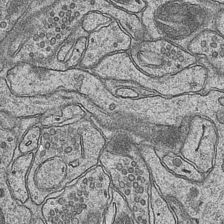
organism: Mouse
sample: CA1 Hippocampus